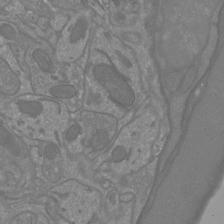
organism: Mouse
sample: Cortical neurons